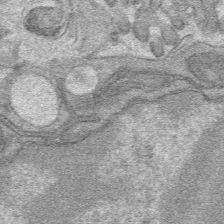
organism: Mouse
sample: Mouse hepatocytes